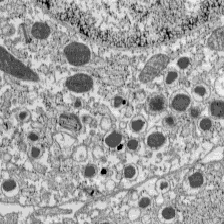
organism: C57BL Mouse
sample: Pancreatic islet